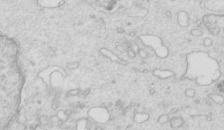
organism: Mouse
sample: Multiciliated cells